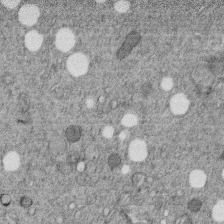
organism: C. elegans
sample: C. elegans embryo early stage